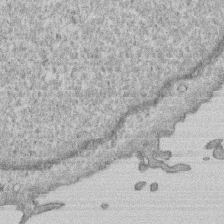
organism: Human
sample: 1205lu cells